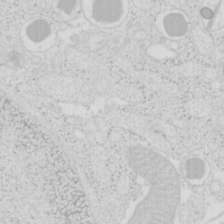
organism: Mouse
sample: Pancreas